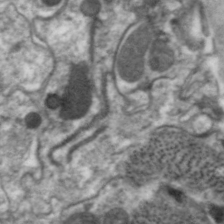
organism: C. elegans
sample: Pharynx